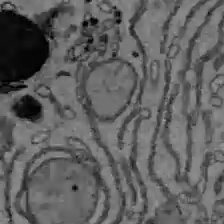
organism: C57BL Mouse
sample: Liver